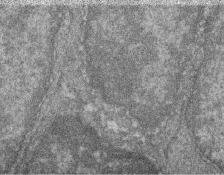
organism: Zebrafish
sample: Cilia; retinal pigment epithelium